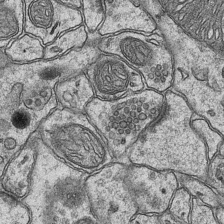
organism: Mouse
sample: CA1 Hippocampus